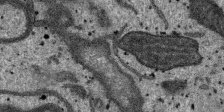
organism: Human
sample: Lung epithelial cells, uninfected (mock) control